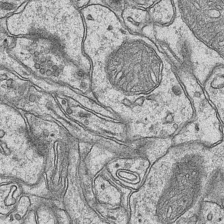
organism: Mouse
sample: CA1 Hippocampus